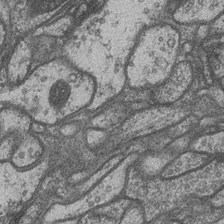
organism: Drosophila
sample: Optic medulla